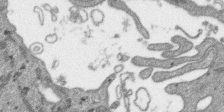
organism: Human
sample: Lung epithelial cells infected with SARS-CoV-2